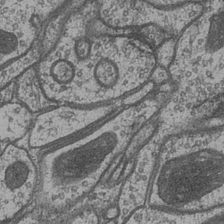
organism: Drosophila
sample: Optic medulla